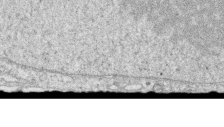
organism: Human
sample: HeLa cell HIV synapse